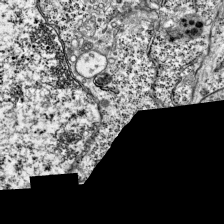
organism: Mouse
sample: Visual Cortex